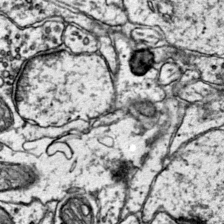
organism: Mouse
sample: Primary visual cortex